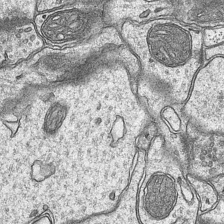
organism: Mouse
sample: CA1 Hippocampus